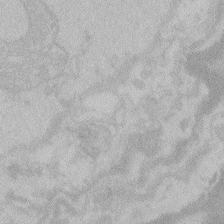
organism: Zebrafish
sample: Macrophage infected with Toxoplasma gondii